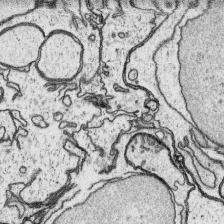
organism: Platynereis dumerilii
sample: Parapodia